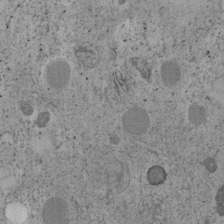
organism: C. elegans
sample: C. elegans embryo early stage